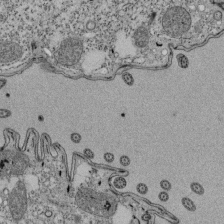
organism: Tetrahymena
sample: Cilia in tetrahymena